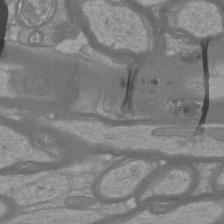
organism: Mouse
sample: Cortical neurons